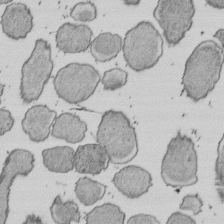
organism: E. coli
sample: Bacterial nucleoid